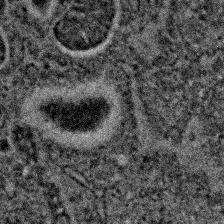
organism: C. elegans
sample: C. elegans embryo